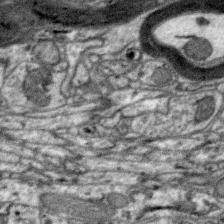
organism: Zebra finch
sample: Brain